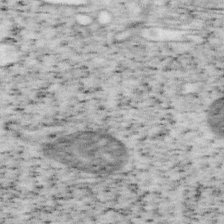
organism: Mouse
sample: OT-I killer T cells with ID8 ovarian cancer cells